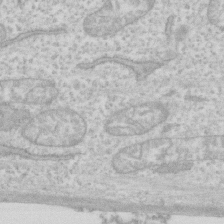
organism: Human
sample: Fibroblast cells